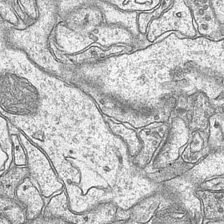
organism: Mouse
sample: CA1 Hippocampus